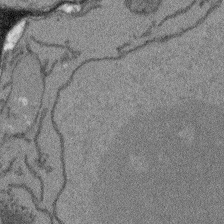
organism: Arabidopsis thaliana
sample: Root tip